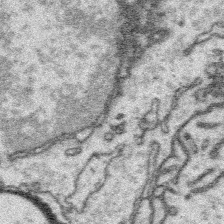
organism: Platynereis dumerilii